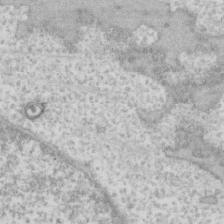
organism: Human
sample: Fibroblast cells